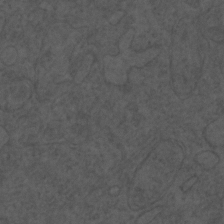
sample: Trachea